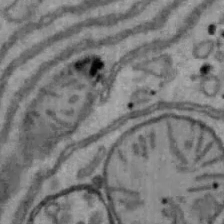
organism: Mouse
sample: Liver